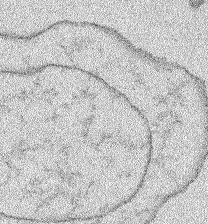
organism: Human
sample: HeLa cells